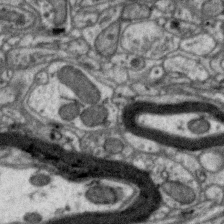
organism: Zebra finch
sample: Brain